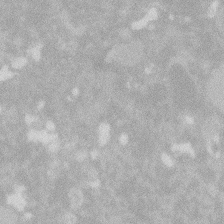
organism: Zebrafish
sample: Macrophage